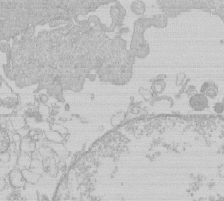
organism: Human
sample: Macrophage cells